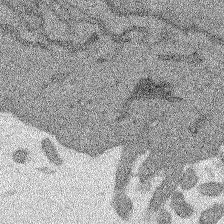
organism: Human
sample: HeLa cells